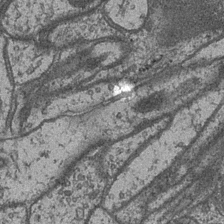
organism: Drosophila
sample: Optic medulla